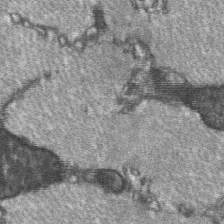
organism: C57BL Mouse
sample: Soleus